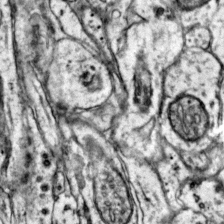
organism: Mouse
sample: Primary visual cortex